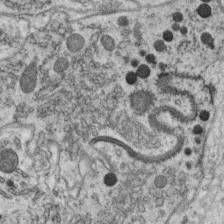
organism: C. elegans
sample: C. elegans oocyte; sperm cells